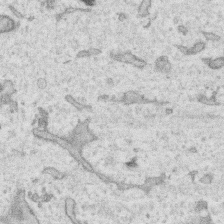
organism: Human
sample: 1205lu cells